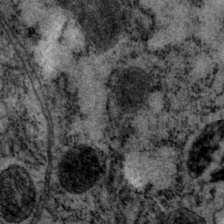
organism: P. pacificus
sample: Pharynx